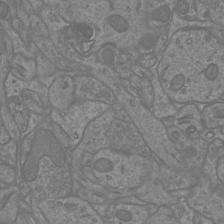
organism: Mouse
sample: Cortical neurons